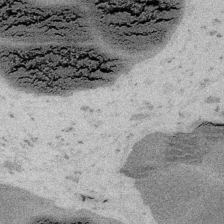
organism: Embia sp.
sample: Silk gland